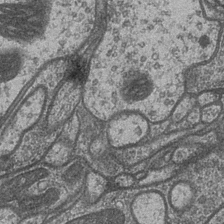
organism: Drosophila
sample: Optic medulla